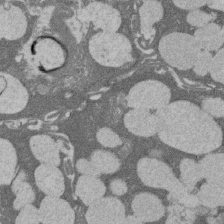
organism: Rat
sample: Salivary granule